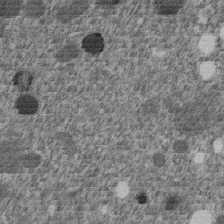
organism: C. elegans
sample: C. elegans embryo early stage